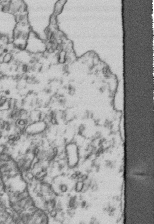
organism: Human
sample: Activated Jurkat CD4+ T cells